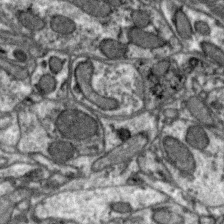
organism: Zebra finch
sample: Brain